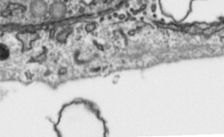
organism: Toxoplasma gondii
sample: Parasites in a vacuole inside a host cell